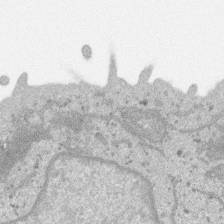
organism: Human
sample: Lung epithelial cells infected with SARS-CoV-2